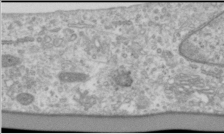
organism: Human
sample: Cilia; basal body in RPE cells